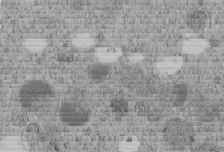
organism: C. elegans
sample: C. elegans embryo early stage